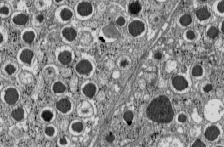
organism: C57BL Mouse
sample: Pancreatic islet